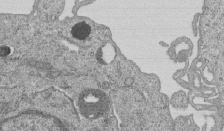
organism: Human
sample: MDA-MB-231 cells